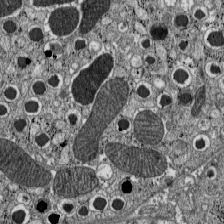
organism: C57BL Mouse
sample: Pancreatic islet